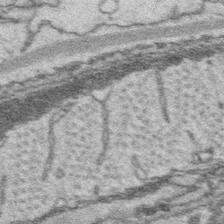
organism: Platynereis dumerilii